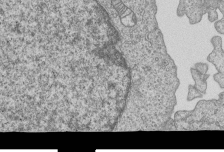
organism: Human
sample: MDA-MB-231 cells